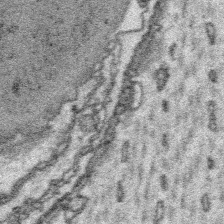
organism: Platynereis dumerilii